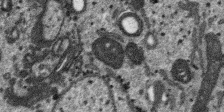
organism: Human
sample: Lung epithelial cells infected with SARS-CoV-2